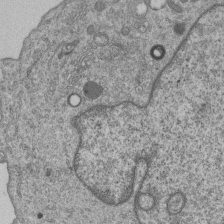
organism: Human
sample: MDA-MB-231 cells